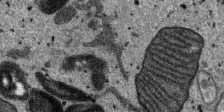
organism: Human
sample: Lung epithelial cells, uninfected (mock) control